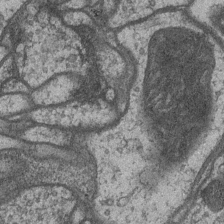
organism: Drosophila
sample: Optic medulla